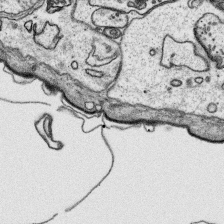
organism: Platynereis dumerilii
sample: Parapodia